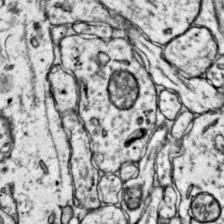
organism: Mouse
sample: Primary visual cortex